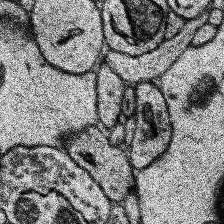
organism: Human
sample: Temporal Lobe